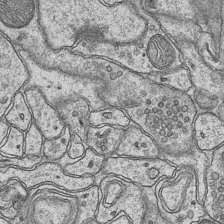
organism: Mouse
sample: CA1 Hippocampus